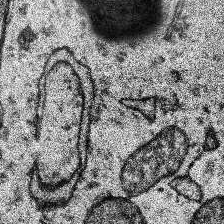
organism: Human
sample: Temporal Lobe